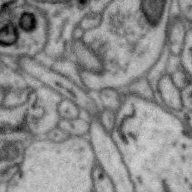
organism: Zebra finch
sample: Brain